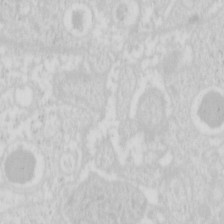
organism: Mouse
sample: Pancreas